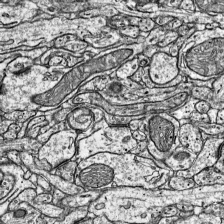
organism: Mouse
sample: Visual Cortex